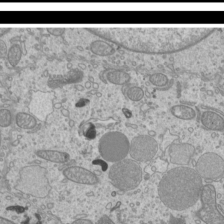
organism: Mouse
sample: Cilia; mouse epididymis